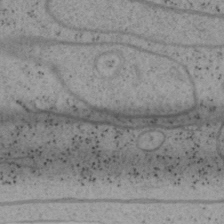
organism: Human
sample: HeLa cells